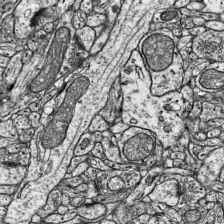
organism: Mouse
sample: Visual Cortex